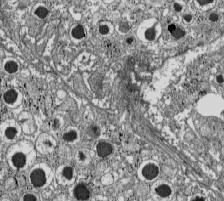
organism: C57BL Mouse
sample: Pancreatic islet